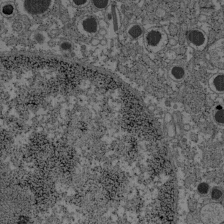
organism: C57BL Mouse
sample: Pancreatic islet